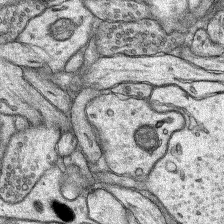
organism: Rat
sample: Hippocampus